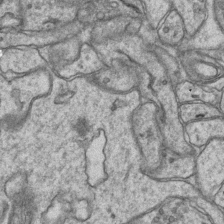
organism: Mouse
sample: CA1 Hippocampus